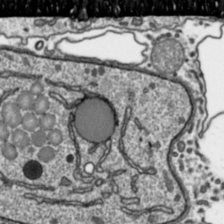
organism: Toxoplasma gondii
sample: Parasites in a vacuole inside a host cell